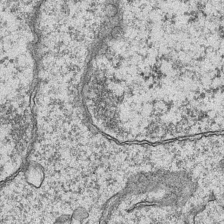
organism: Mouse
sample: CA1 Hippocampus